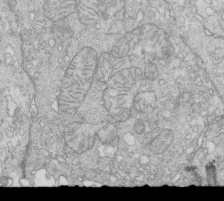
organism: Mouse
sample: Multiciliated cells